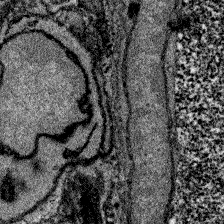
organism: Zebrafish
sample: Larval olfactory bulb